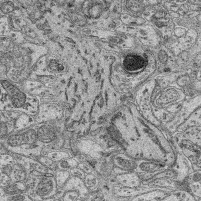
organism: Mouse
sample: Retina